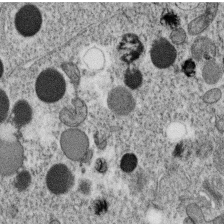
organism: C. elegans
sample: C. elegans oocyte; sperm cells